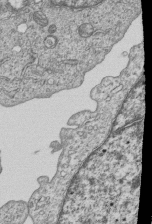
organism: Human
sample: MDA-MB-231 cells